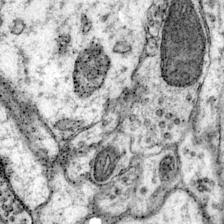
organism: Mouse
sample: Primary visual cortex